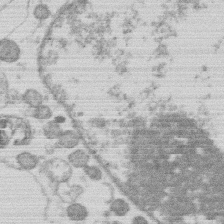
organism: Human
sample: Macrophage cells